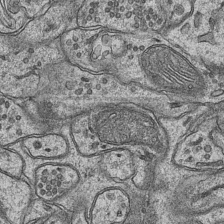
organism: Mouse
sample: CA1 Hippocampus